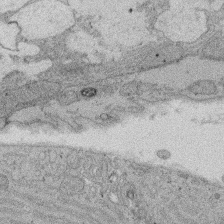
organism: Rat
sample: Salivary granule